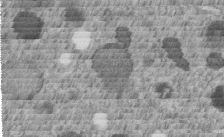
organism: C. elegans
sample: C. elegans embryo early stage